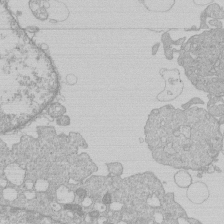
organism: Human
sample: Macrophage cells